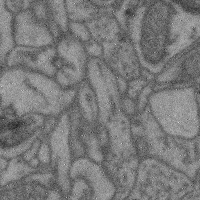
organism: Mouse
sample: Cerebral cortex